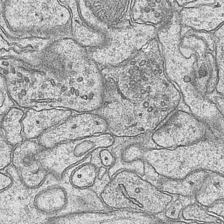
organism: Mouse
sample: CA1 Hippocampus